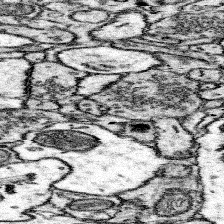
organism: Mouse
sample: Somatosensory cortex neuropil